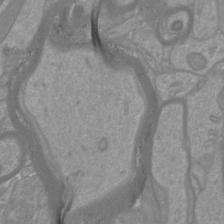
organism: Mouse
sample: Cortical neurons